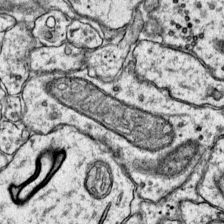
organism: Mouse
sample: Primary visual cortex